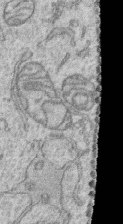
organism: Human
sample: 1205lu cells